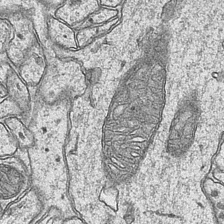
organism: Mouse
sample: CA1 Hippocampus